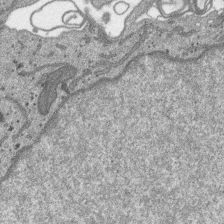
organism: Human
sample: Lung epithelial cells infected with SARS-CoV-2